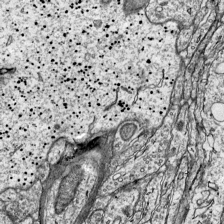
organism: Mouse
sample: Visual Cortex